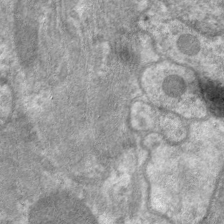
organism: C. elegans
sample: Pharynx